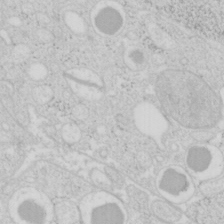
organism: Mouse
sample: Pancreas